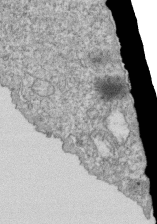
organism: Human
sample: HeLa cell HIV synapse